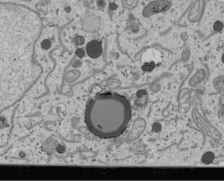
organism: Human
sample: Mitochondria in U2OS cells